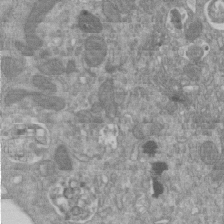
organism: Mouse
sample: ED-1 cell nuclei; centrioles